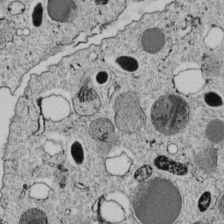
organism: C. elegans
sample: C. elegans embryo early stage